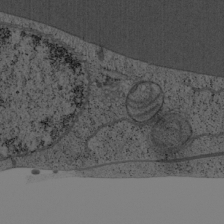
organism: African green monkey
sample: COS-7 cells